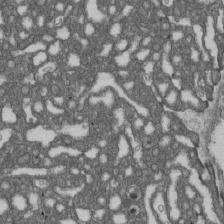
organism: Drosophila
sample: Nephrocyte